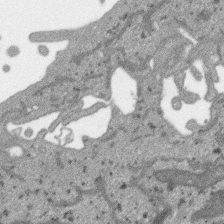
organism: Human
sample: Lung epithelial cells infected with SARS-CoV-2